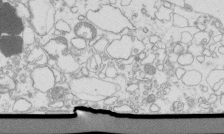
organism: Mouse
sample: Macrophages